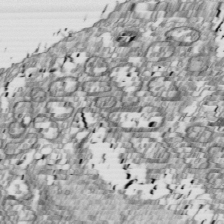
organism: Drosophila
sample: Cell division; meiosis; drosophila spermatocytes